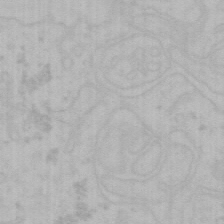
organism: Mouse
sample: Choroid plexus